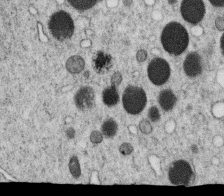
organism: C. elegans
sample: C. elegans oocyte; sperm cells